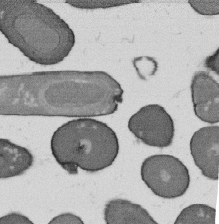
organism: B. subtilis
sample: Bacterial spore